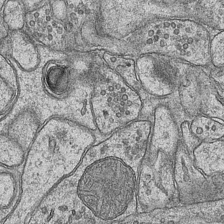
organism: Mouse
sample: CA1 Hippocampus